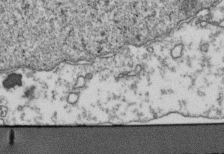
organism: Human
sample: Activated Jurkat CD4+ T cells